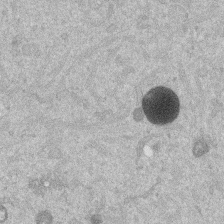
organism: Mouse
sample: Dividing mouse embryo 1 cell stage